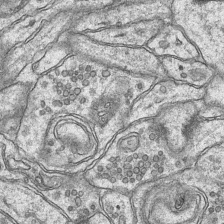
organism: Mouse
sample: CA1 Hippocampus